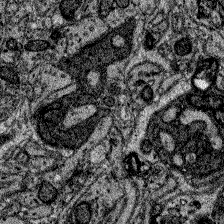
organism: Zebrafish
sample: Larval olfactory bulb